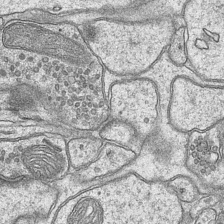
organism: Mouse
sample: CA1 Hippocampus